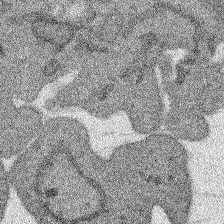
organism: Human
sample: HeLa cells